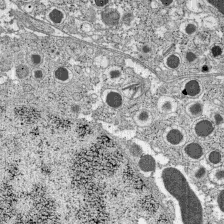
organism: C57BL Mouse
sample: Pancreatic islet